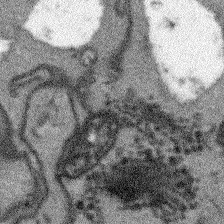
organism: Arabidopsis thaliana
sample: Root tip